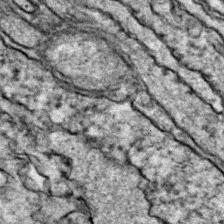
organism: Zebrafish